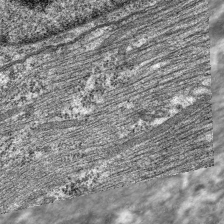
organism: C. elegans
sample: Pharynx